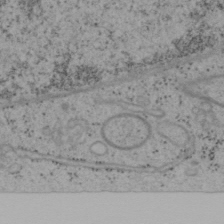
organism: Human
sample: HeLa cells